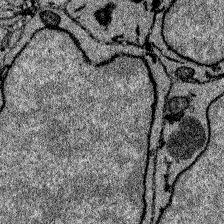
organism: Zebrafish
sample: Larval olfactory bulb